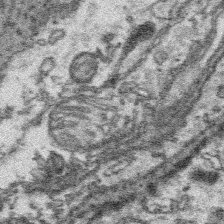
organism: Platynereis dumerilii